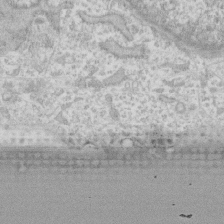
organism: Human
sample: Fibroblast cells